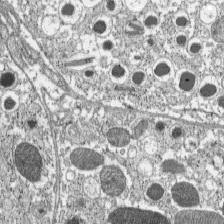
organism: C57BL Mouse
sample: Pancreatic islet